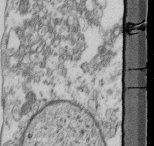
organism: Mouse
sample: Cilia; retinal pigment epithelium